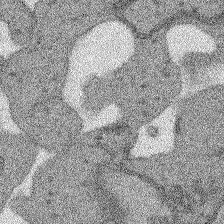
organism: Human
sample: HeLa cells